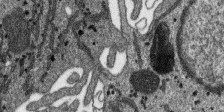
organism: Human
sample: Lung epithelial cells infected with SARS-CoV-2